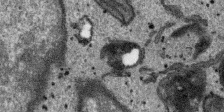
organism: Human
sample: Lung epithelial cells, uninfected (mock) control